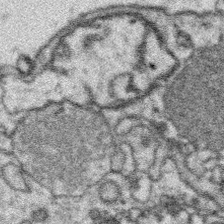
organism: Platynereis dumerilii